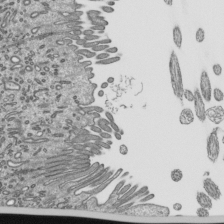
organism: Mouse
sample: Mouse epididymis efferent ductule cilia